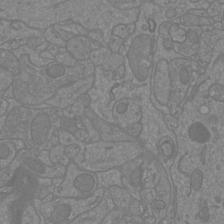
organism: Mouse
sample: Cortical neurons